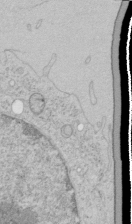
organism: Human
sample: Mitochondria in HCT116 cells